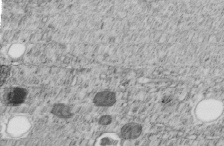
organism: C. elegans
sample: C. elegans embryo early stage